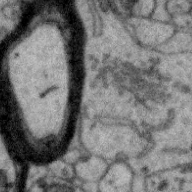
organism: Zebra finch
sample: Brain